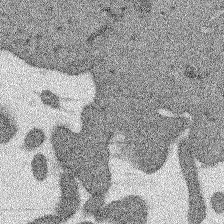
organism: Human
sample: HeLa cells